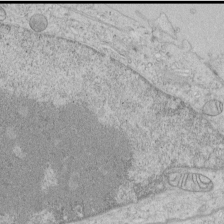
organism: Human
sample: Mitochondria in HCT116 cells